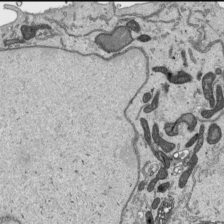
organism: Human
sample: Mitochondria in HCT116 cells